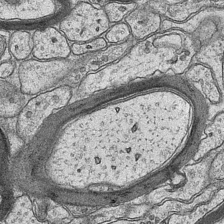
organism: Mouse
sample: CA1 Hippocampus